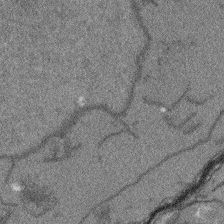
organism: Arabidopsis thaliana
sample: Root tip